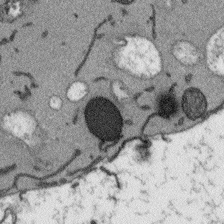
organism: Arabidopsis thaliana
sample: Root tip